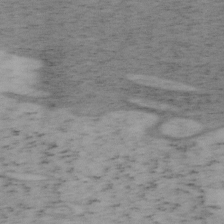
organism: Mouse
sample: OT-I killer T cells with ID8 ovarian cancer cells